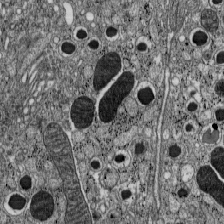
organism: C57BL Mouse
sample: Pancreatic islet